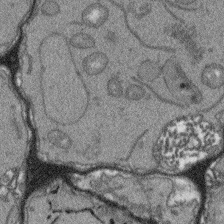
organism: Arabidopsis thaliana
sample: Root tip